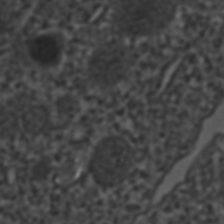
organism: C. elegans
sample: C. elegans embryo